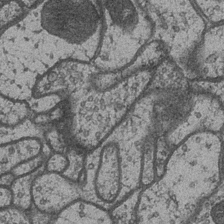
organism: Drosophila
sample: Optic medulla